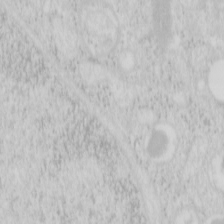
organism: Mouse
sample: Pancreas